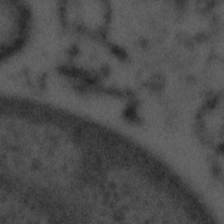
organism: Tuwongella immobilis